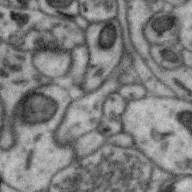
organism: Zebra finch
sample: Brain